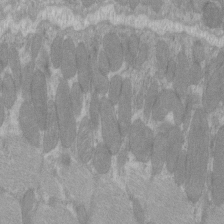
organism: C57BL Mouse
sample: Tibialis anterior muscle cell